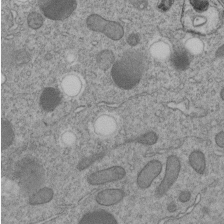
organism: C. elegans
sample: C. elegans embryo early stage